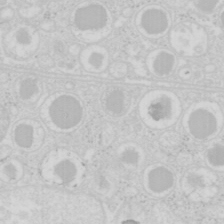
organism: Mouse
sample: Pancreas